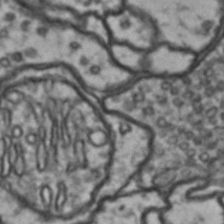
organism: Drosophila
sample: Brain